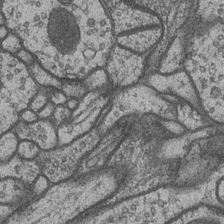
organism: Drosophila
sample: Optic medulla